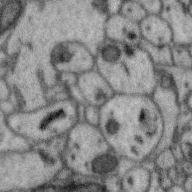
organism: Zebra finch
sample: Brain